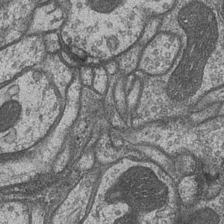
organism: Drosophila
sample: Optic medulla